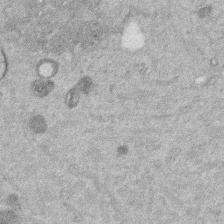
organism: Mouse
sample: Dividing mouse embryo 1 cell stage